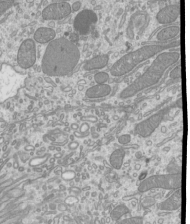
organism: Mouse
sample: Cilia; mouse epididymis